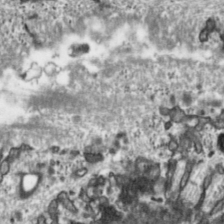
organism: Toxoplasma gondii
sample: Parasites in a vacuole inside a host cell